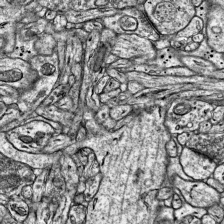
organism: Mouse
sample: Visual Cortex